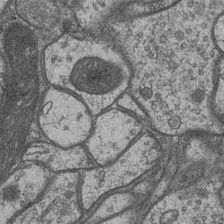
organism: Drosophila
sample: Optic medulla